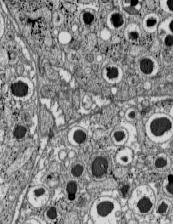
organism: C57BL Mouse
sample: Pancreatic islet